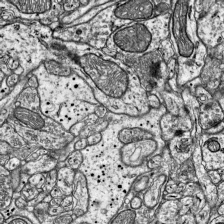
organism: Mouse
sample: Visual Cortex